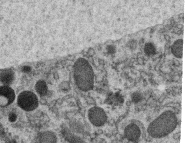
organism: C. elegans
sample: C. elegans oocyte; sperm cells